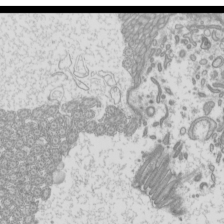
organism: Mouse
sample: Cilia; mouse epididymis